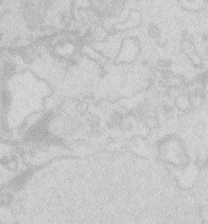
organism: Zebrafish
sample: Macrophage